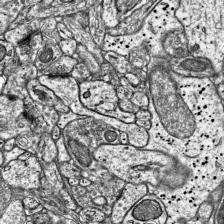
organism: Mouse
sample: Visual Cortex